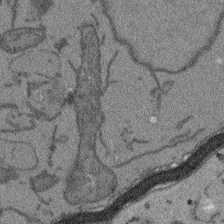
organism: Arabidopsis thaliana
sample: Root tip